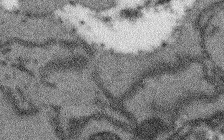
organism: Arabidopsis thaliana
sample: Root tip